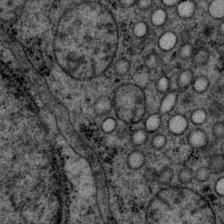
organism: P. pacificus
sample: Pharynx